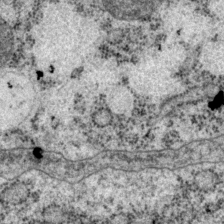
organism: P. pacificus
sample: Pharynx